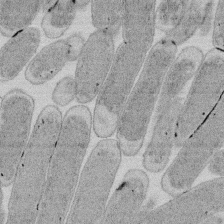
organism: E. coli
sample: Bacterial nucleoid